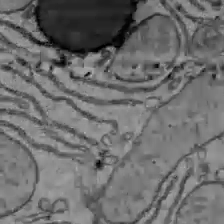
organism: C57BL Mouse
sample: Liver